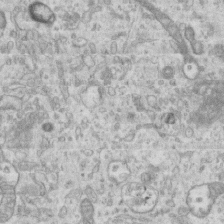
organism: Mouse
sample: Centriole in ependymal cells